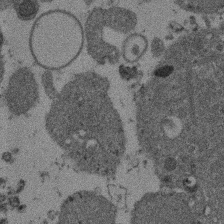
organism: Mouse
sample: Dividing mouse embryo 1 cell stage